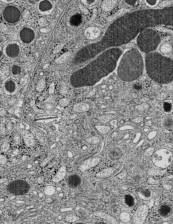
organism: C57BL Mouse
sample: Pancreatic islet